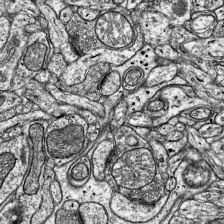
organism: Mouse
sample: Visual Cortex